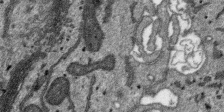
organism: Human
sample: Lung epithelial cells, uninfected (mock) control